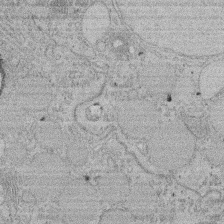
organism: Rat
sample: Salivary granule